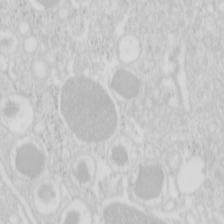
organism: Mouse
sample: Pancreas